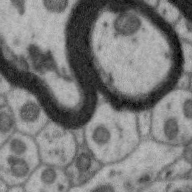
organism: Zebra finch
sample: Brain